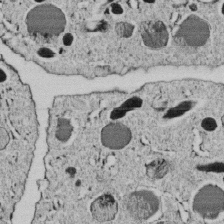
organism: C. elegans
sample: C. elegans embryo early stage